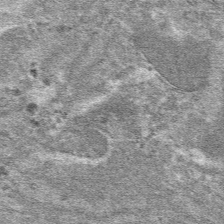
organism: Mouse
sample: Mouse hepatocytes